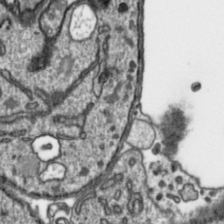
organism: Toxoplasma gondii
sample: Parasites in a vacuole inside a host cell